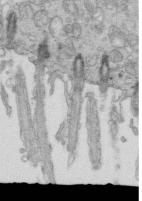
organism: Mouse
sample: Multiciliated cells